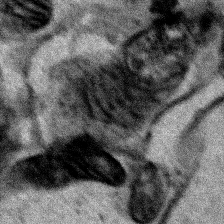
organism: Human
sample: Mitochondria in HCT116 cells